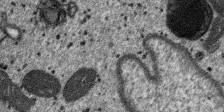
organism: Human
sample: Lung epithelial cells infected with SARS-CoV-2